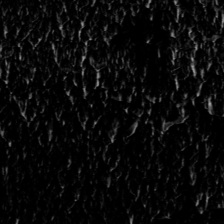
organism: Toxoplasma gondii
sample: Parasites in a vacuole inside a host cell